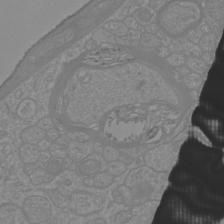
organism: Mouse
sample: Cortical neurons